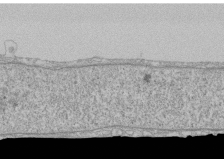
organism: Human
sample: CRL-1474